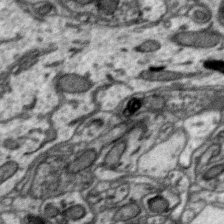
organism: Zebra finch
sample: Brain